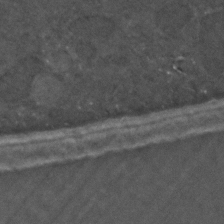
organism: C. elegans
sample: C. elegans embryo